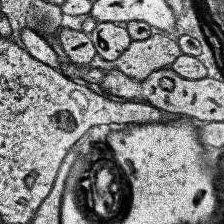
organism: Human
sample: Temporal Lobe